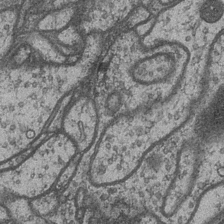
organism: Drosophila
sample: Optic medulla